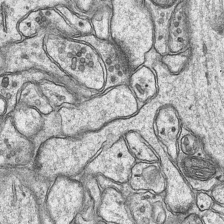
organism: Mouse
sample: CA1 Hippocampus